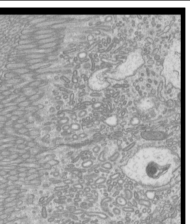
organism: Mouse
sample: Cilia; mouse epididymis